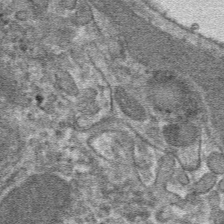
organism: Mouse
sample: Mouse hepatocytes